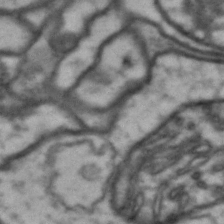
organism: Drosophila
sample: Brain